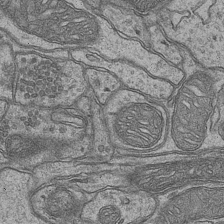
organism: Mouse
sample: CA1 Hippocampus